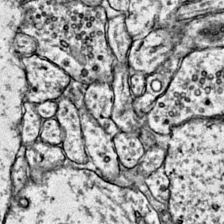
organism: Mouse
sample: Primary visual cortex